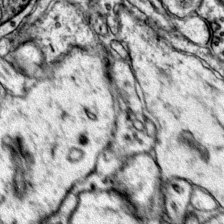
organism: Mouse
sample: Primary visual cortex